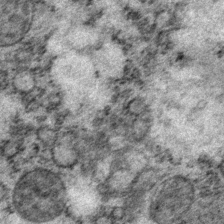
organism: P. pacificus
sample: Pharynx